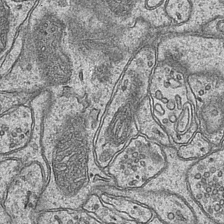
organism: Mouse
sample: CA1 Hippocampus